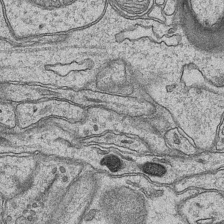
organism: Mouse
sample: CA1 Hippocampus